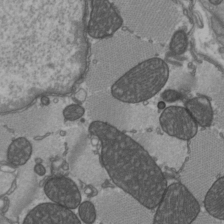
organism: C57BL Mouse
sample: Heart